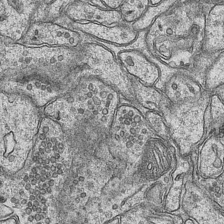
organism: Mouse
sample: CA1 Hippocampus